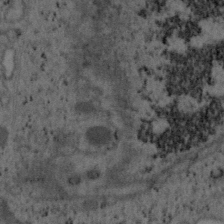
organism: Human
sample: HeLa cells